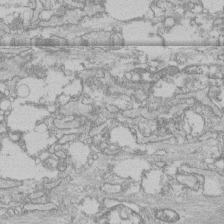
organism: Human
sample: CRL-1474